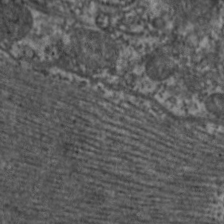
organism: C. elegans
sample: Pharynx